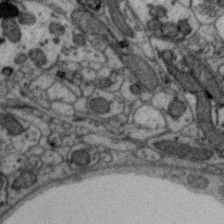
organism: Zebra finch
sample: Brain